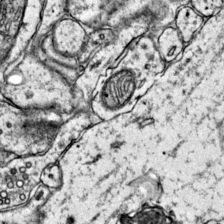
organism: Mouse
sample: Primary visual cortex